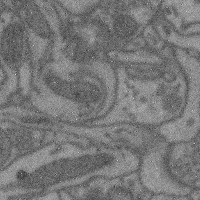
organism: Mouse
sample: Cerebral cortex